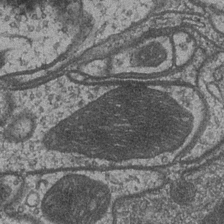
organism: Drosophila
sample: Optic medulla